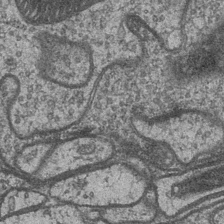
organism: Drosophila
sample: Optic medulla